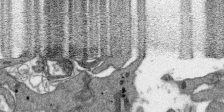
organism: Human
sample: Lung epithelial cells, uninfected (mock) control